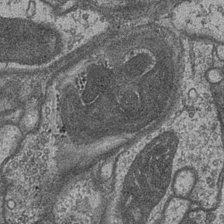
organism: Drosophila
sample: Optic medulla